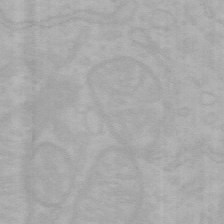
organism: Mouse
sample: Choroid plexus